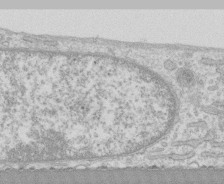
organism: Human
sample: CRL-1474